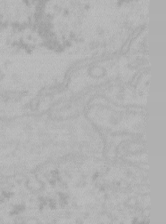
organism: Mouse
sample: Choroid plexus